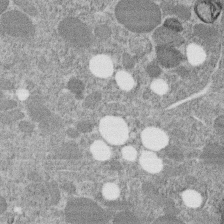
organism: C. elegans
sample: C. elegans embryo early stage